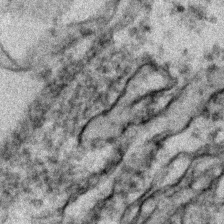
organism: Zebrafish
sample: Zebrafish embryo